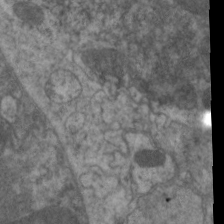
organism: C. elegans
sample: Pharynx